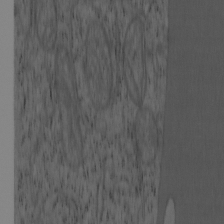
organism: Human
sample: HeLa cells